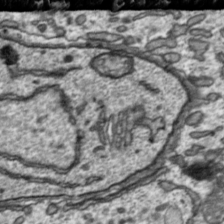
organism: Toxoplasma gondii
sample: Parasites in a vacuole inside a host cell